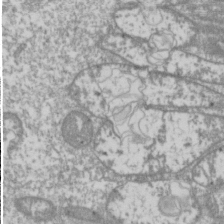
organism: Drosophila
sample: Cell division; meiosis; drosophila spermatocytes